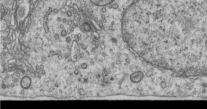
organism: Human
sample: Centriole in RPE cells